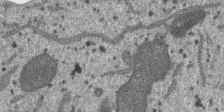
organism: Human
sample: Lung epithelial cells infected with SARS-CoV-2